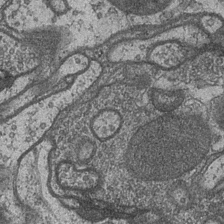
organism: Drosophila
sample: Optic medulla